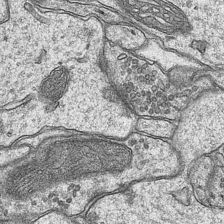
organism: Mouse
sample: CA1 Hippocampus